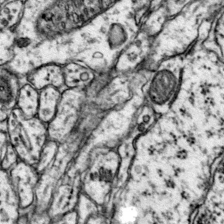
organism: Mouse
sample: Primary visual cortex